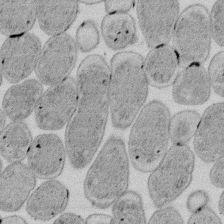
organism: E. coli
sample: Bacterial nucleoid